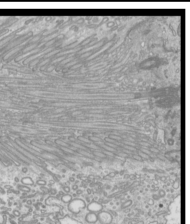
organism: Mouse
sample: Cilia; mouse epididymis